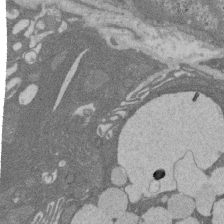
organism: Rat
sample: Salivary granule